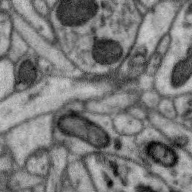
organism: Zebra finch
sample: Brain